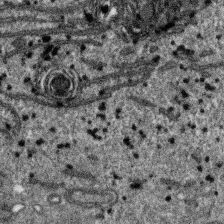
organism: Human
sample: Lung epithelial cells infected with SARS-CoV-2